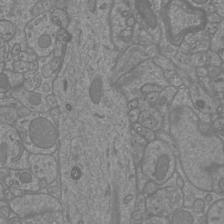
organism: Mouse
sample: Cortical neurons